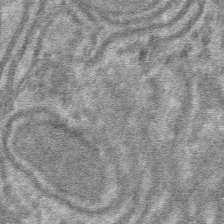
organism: Mouse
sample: Mouse hepatocytes